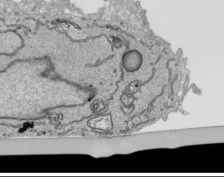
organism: Human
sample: Mitochondria in HCT116 cells